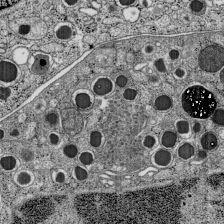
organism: C57BL Mouse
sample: Pancreatic islet